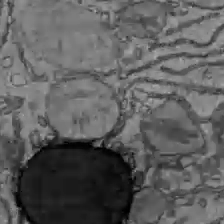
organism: C57BL Mouse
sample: Liver